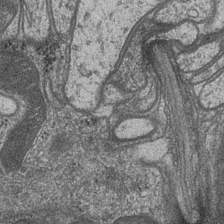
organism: Drosophila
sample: Optic medulla